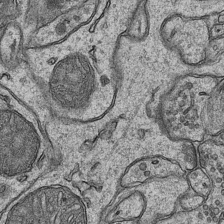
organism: Mouse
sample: CA1 Hippocampus